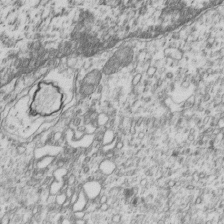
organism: Human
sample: MDA-MB-231 cells